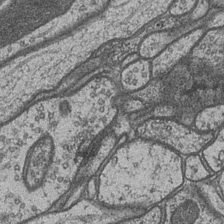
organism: Drosophila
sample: Optic medulla